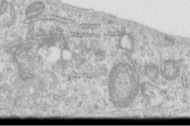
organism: Human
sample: Centriole in RPE cells